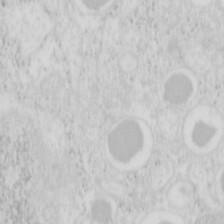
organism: Mouse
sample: Pancreas